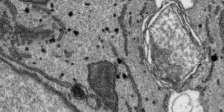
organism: Human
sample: Lung epithelial cells, uninfected (mock) control